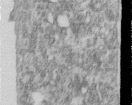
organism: Human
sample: Centriole in RPE cells